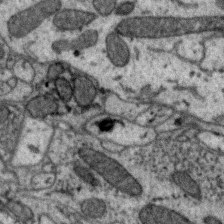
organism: Zebra finch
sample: Brain